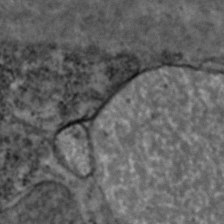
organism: Zebrafish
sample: Zebrafish embryo